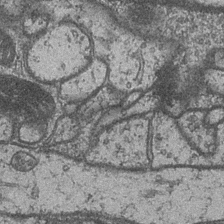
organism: Drosophila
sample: Optic medulla